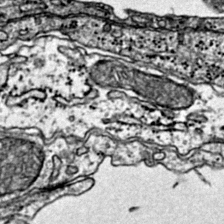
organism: Mouse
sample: Primary visual cortex